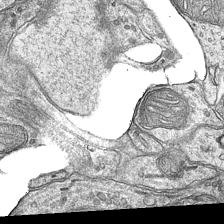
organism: Mouse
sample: CA1 Hippocampus